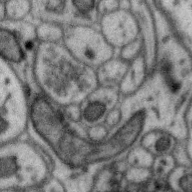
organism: Zebra finch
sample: Brain